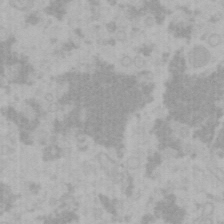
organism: Mouse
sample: Choroid plexus